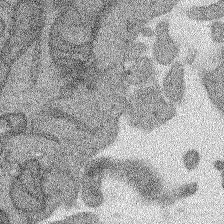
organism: Human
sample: HeLa cells